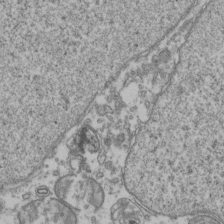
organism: Human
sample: Activated Jurkat CD4+ T cells